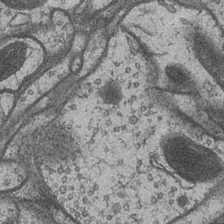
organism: Drosophila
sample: Optic medulla